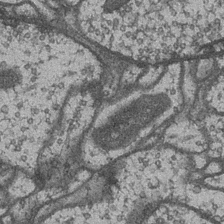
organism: Drosophila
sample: Optic medulla